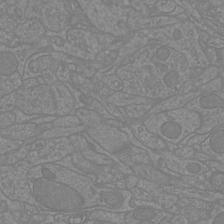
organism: Mouse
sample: Cortical neurons